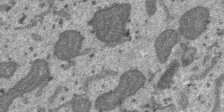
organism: Human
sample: Lung epithelial cells infected with SARS-CoV-2